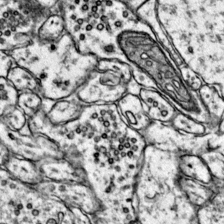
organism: Mouse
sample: Primary visual cortex